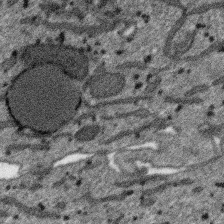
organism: Human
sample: Lung epithelial cells infected with SARS-CoV-2